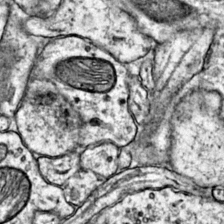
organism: Mouse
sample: Primary visual cortex